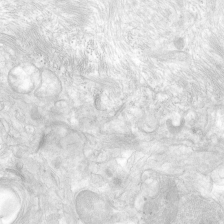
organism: Human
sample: Neocortex